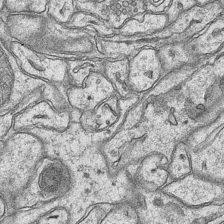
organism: Mouse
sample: CA1 Hippocampus